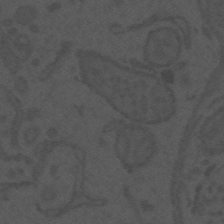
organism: Mouse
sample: Suprachiasmatic nucleus